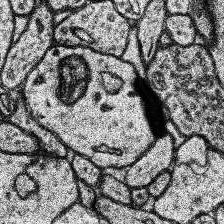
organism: Human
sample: Temporal Lobe